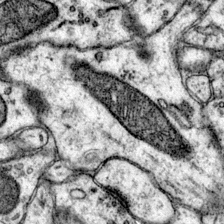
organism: Mouse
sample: Primary visual cortex